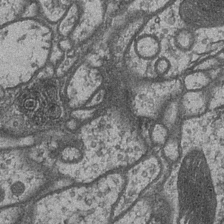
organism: Drosophila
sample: Optic medulla